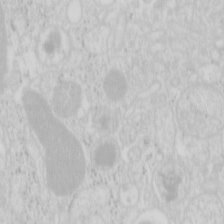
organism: Mouse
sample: Pancreas